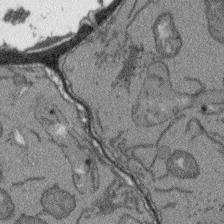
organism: Arabidopsis thaliana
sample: Root tip